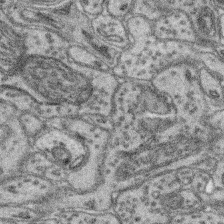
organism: Mouse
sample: Retina